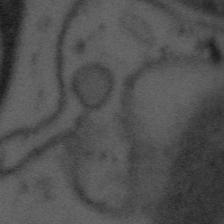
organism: Tuwongella immobilis